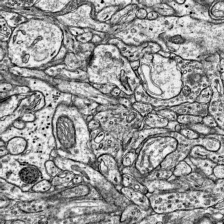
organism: Mouse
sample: Visual Cortex